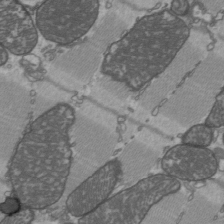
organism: C57BL Mouse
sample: Heart